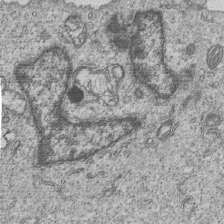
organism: Human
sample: MDA-MB-231 cells